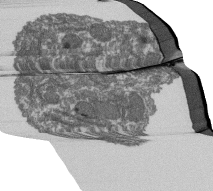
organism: Dictyostelium discoideum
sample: Dictyostelium multivesicular bodies